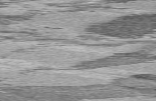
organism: C57BL Mouse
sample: Heart